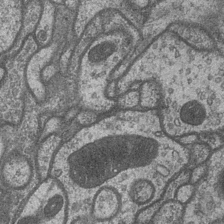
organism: Drosophila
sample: Optic medulla